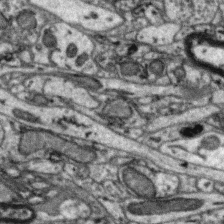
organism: Zebra finch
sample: Brain